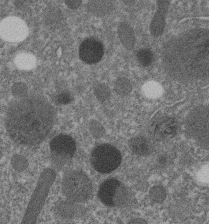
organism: C. elegans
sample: C. elegans embryo early stage